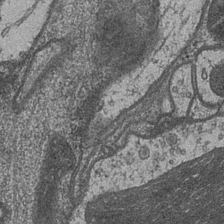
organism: Drosophila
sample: Optic medulla